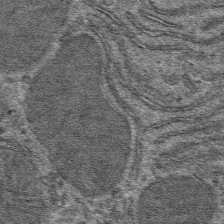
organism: Mouse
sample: Mouse hepatocytes